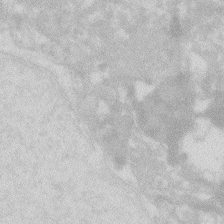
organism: Zebrafish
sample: Macrophage